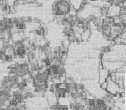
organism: Human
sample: HeLa cell HIV synapse